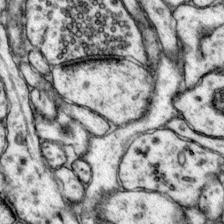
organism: Mouse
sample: Primary visual cortex